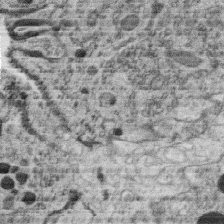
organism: C. elegans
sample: C. elegans oocyte; sperm cells